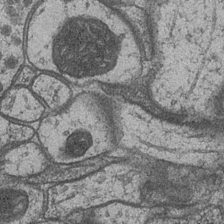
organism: Drosophila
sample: Optic medulla